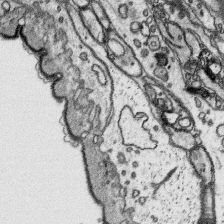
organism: Platynereis dumerilii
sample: Parapodia